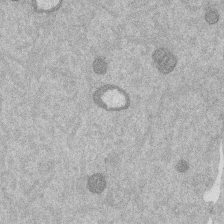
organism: Mouse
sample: Dividing mouse embryo 1 cell stage